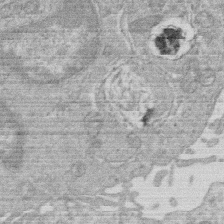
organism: Human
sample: Macrophage cells